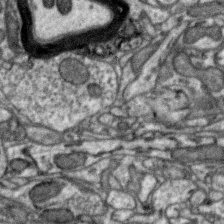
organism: Zebra finch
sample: Brain